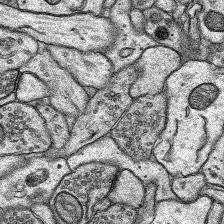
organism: Rat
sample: Hippocampus